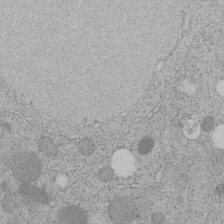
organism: C. elegans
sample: C. elegans embryo early stage